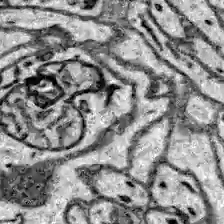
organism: Zebrafish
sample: Brain